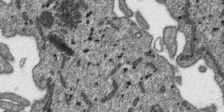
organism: Human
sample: Lung epithelial cells infected with SARS-CoV-2